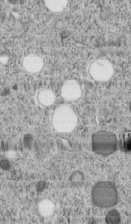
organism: C. elegans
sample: C. elegans embryo early stage